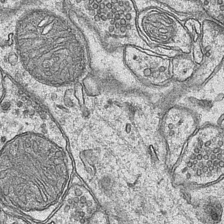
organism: Mouse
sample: CA1 Hippocampus